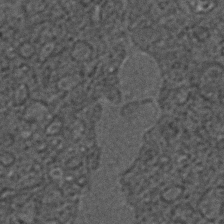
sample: Trachea